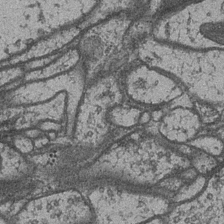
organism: Drosophila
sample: Optic medulla